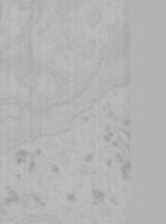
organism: Mouse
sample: Choroid plexus